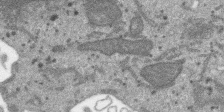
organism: Human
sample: Lung epithelial cells infected with SARS-CoV-2